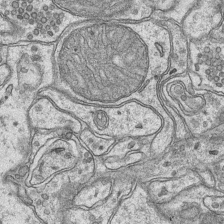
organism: Mouse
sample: CA1 Hippocampus